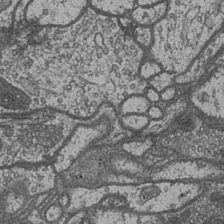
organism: Drosophila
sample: Optic medulla